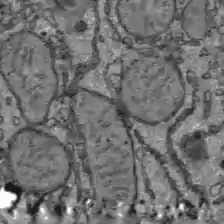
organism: C57BL Mouse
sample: Liver